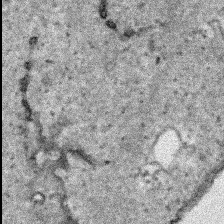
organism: Human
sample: Mitochondria in HCT116 cells